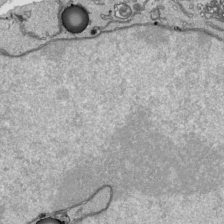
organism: Human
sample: Mitochondria in HCT116 cells